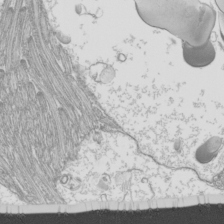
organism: Mouse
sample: Cilia; mouse epididymis